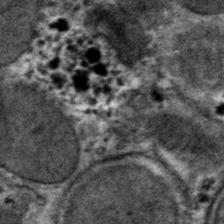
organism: Mouse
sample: Mouse hepatocytes